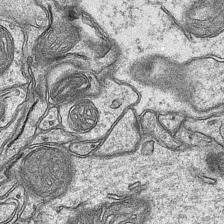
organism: Mouse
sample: CA1 Hippocampus